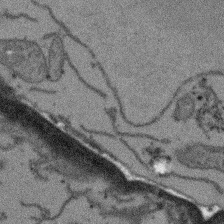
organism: Arabidopsis thaliana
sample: Root tip